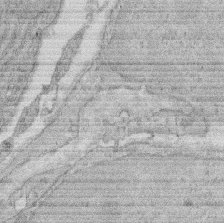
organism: Rat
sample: Salivary granule